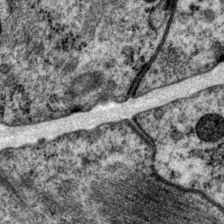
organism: P. pacificus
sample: Pharynx